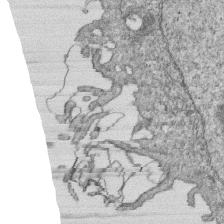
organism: Human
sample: HeLa cell HIV synapse